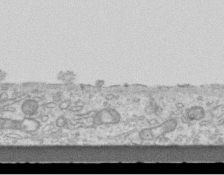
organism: Mouse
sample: Centriole in ependymal cells